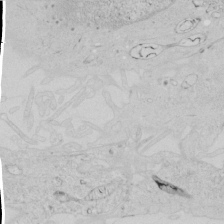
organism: Human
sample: Mitochondria in HCT116 cells